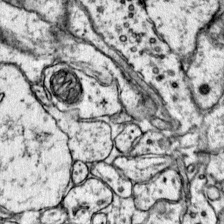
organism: Mouse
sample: Primary visual cortex